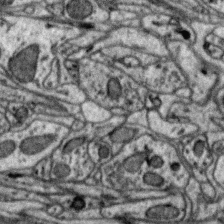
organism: Zebra finch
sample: Brain